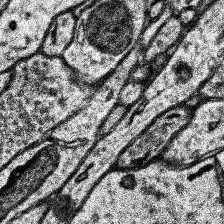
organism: Human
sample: Temporal Lobe